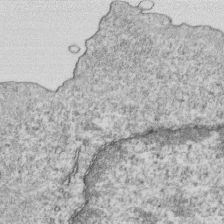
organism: Mouse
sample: Activated OT-1 CD8+ T cells